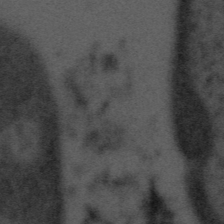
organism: Tuwongella immobilis